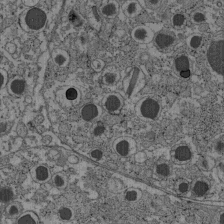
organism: C57BL Mouse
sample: Pancreatic islet